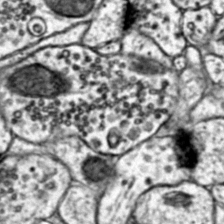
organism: Mouse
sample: Primary visual cortex